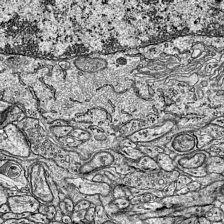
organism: Mouse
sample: Visual Cortex